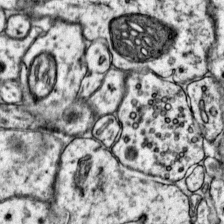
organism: Mouse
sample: Primary visual cortex